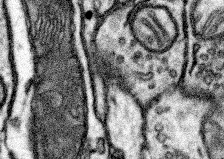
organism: Mouse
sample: Somatosensory cortex neuropil